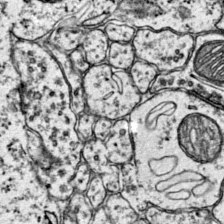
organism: Mouse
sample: Primary visual cortex